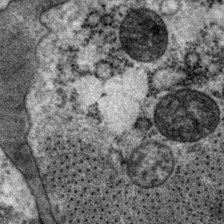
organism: P. pacificus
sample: Pharynx